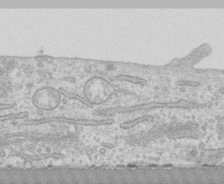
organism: Human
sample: CRL-1474